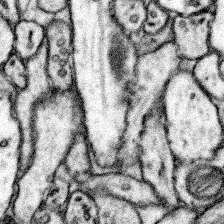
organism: Mouse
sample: Somatosensory cortex neuropil